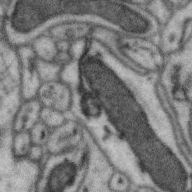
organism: Zebra finch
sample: Brain